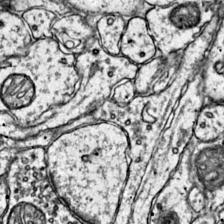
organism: Mouse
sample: Primary visual cortex